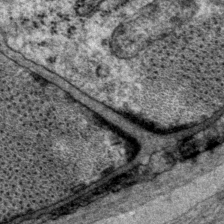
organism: P. pacificus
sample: Pharynx